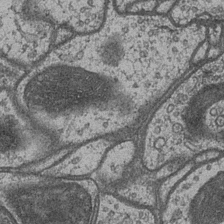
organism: Drosophila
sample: Optic medulla